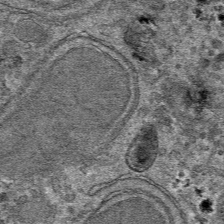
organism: Mouse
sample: Mouse hepatocytes